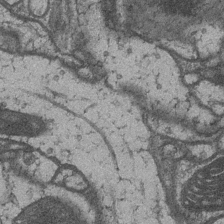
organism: Drosophila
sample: Optic medulla